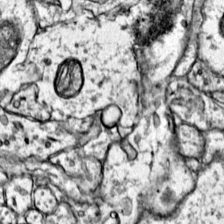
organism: Mouse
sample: Primary visual cortex